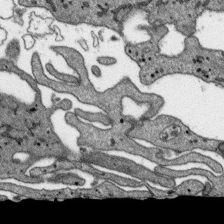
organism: Human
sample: Lung epithelial cells, uninfected (mock) control